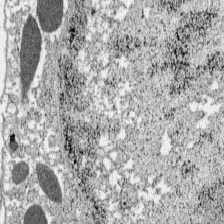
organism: C57BL Mouse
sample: Pancreatic islet